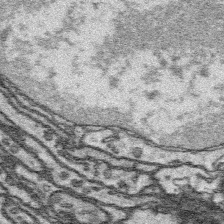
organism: Platynereis dumerilii